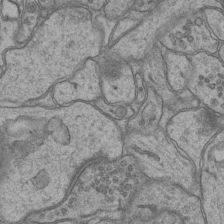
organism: Mouse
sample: CA1 Hippocampus